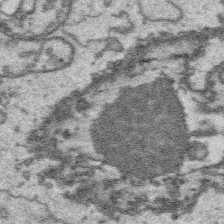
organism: Platynereis dumerilii